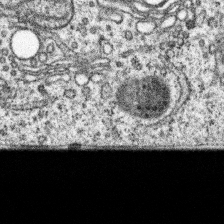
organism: Human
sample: HeLa cells